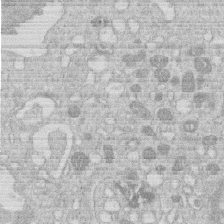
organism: Human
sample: Macrophage cells